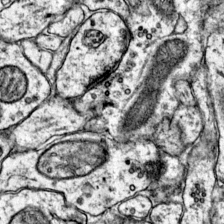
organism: Mouse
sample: Primary visual cortex